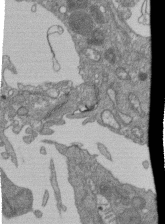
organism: Human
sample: Retinal organoid Rod and Cone cells